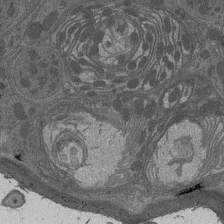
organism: Drosophila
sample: Antenna